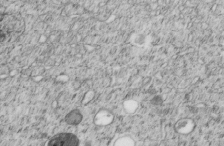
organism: C. elegans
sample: C. elegans embryo early stage